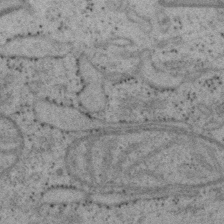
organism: Human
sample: HeLa cells